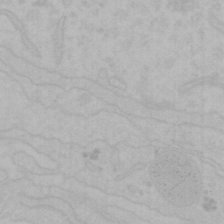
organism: Mouse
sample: Choroid plexus